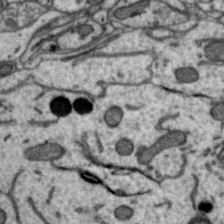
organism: Zebra finch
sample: Brain